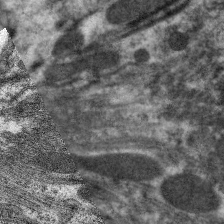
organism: C. elegans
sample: Pharynx